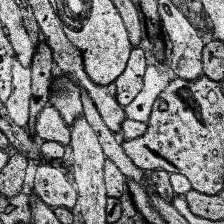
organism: Human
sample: Temporal Lobe